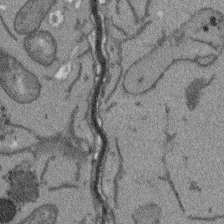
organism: Arabidopsis thaliana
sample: Root tip